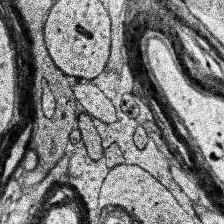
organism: Human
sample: Temporal Lobe